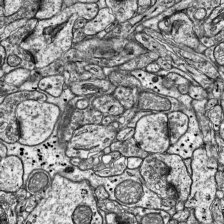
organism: Mouse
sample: Visual Cortex